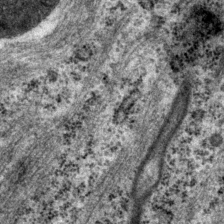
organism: P. pacificus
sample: Pharynx